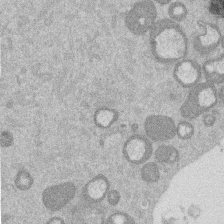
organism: Mouse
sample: Dividing mouse embryo 1 cell stage